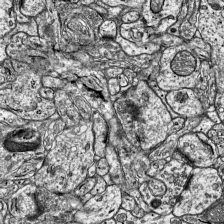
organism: Mouse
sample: Visual Cortex